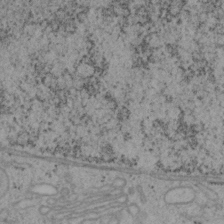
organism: Human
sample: HeLa cells